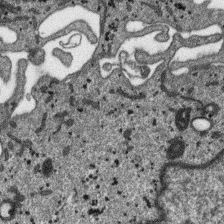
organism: Human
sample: Lung epithelial cells infected with SARS-CoV-2